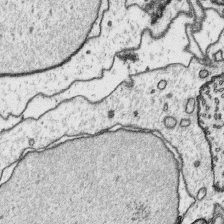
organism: Platynereis dumerilii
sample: Parapodia